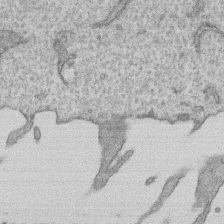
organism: Human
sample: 1205lu cells